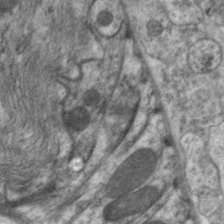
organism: C. elegans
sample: Pharynx